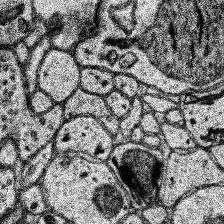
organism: Human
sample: Temporal Lobe